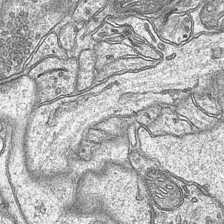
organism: Mouse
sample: CA1 Hippocampus